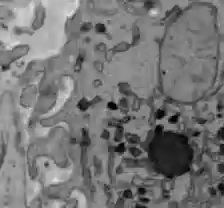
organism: C57BL Mouse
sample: Liver